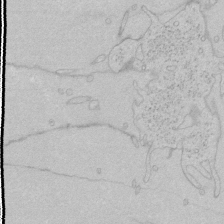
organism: Human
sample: Mitochondria in HCT116 cells